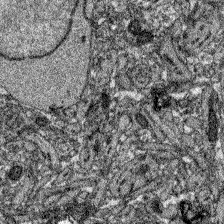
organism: Zebrafish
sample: Larval olfactory bulb